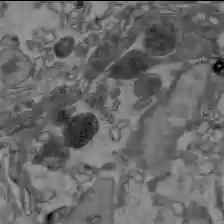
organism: C57BL Mouse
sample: Liver